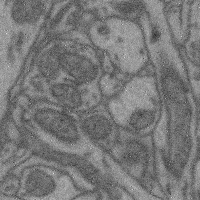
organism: Mouse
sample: Cerebral cortex